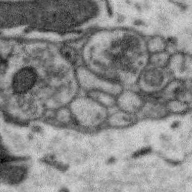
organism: Zebra finch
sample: Brain